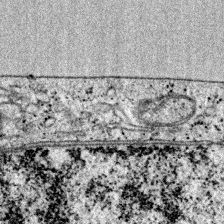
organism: Human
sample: HeLa cells